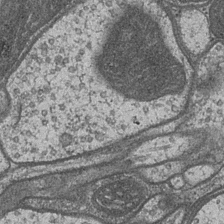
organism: Drosophila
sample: Optic medulla